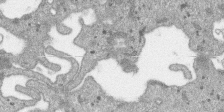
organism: Human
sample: Lung epithelial cells infected with SARS-CoV-2